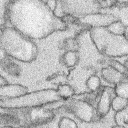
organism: Rabbit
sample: Retina